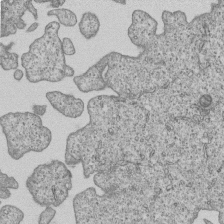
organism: Human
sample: MDA-MB-231 cells